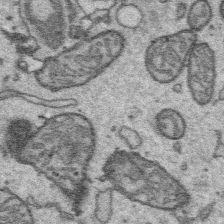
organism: Platynereis dumerilii